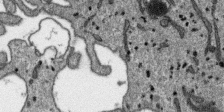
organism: Human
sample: Lung epithelial cells, uninfected (mock) control